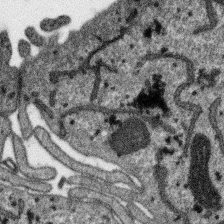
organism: Human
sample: Lung epithelial cells infected with SARS-CoV-2